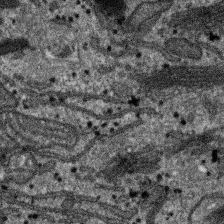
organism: Human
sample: Lung epithelial cells infected with SARS-CoV-2